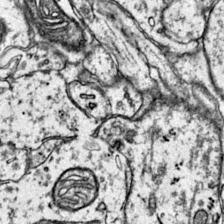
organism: Mouse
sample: Primary visual cortex